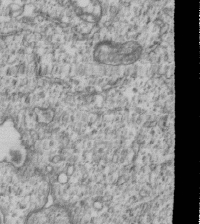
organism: Human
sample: MDA-MB-231 cells